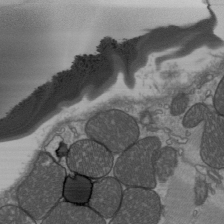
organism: C57BL Mouse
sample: Heart